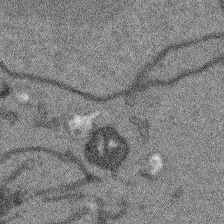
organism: Arabidopsis thaliana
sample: Root tip